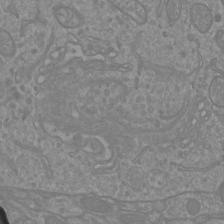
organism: Mouse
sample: Cortical neurons